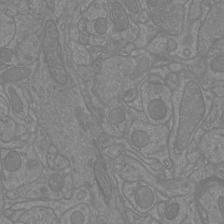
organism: Mouse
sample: Cortical neurons